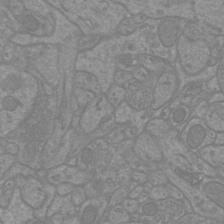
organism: Mouse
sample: Cortical neurons